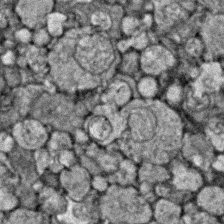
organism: Zebrafish